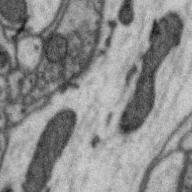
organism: Zebra finch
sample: Brain